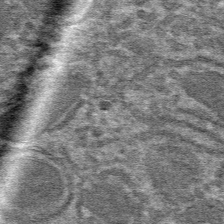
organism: Mouse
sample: Mouse hepatocytes